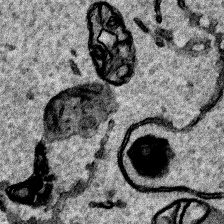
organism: Human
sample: Mitochondria in HCT116 cells